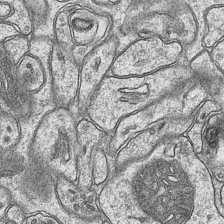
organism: Mouse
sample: CA1 Hippocampus